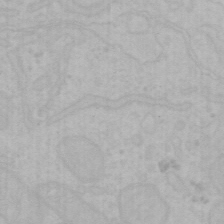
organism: Mouse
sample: Choroid plexus